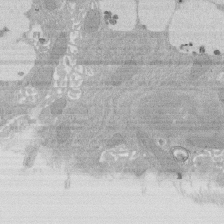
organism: Rat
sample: Salivary granule